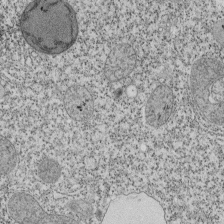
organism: Tetrahymena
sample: Cilia in tetrahymena